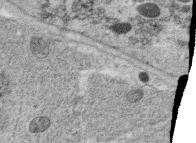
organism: C. elegans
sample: C. elegans oocyte; sperm cells